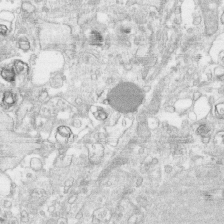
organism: Human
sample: CRL-1474